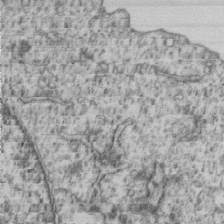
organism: Human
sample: MDA-MB-231 cells